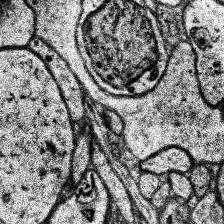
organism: Human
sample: Temporal Lobe